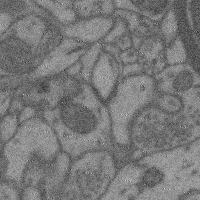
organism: Mouse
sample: Cerebral cortex